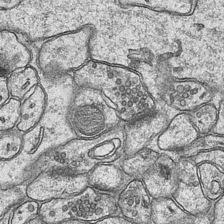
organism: Mouse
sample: CA1 Hippocampus